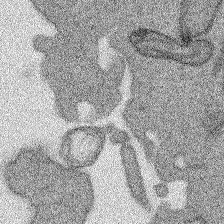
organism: Human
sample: HeLa cells